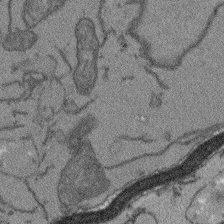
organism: Arabidopsis thaliana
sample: Root tip